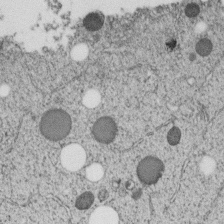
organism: C. elegans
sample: C. elegans embryo early stage